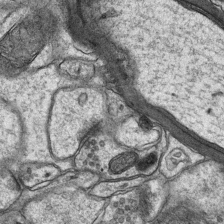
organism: Mouse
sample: CA1 Hippocampus